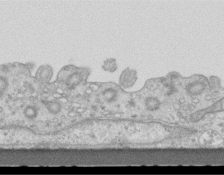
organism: Mouse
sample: Centriole in ependymal cells